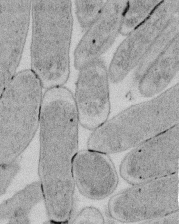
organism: E. coli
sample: Bacterial nucleoid